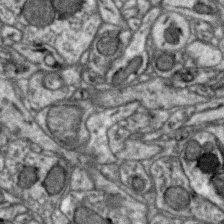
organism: Zebra finch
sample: Brain